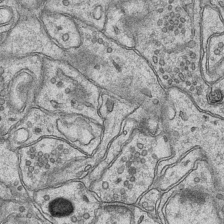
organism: Mouse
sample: CA1 Hippocampus